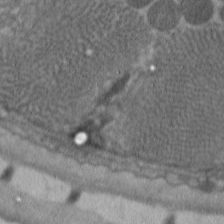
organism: C. elegans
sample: Pharynx